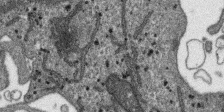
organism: Human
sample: Lung epithelial cells infected with SARS-CoV-2